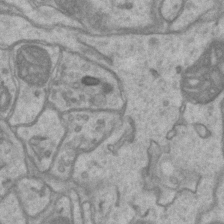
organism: Mouse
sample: CA1 Hippocampus